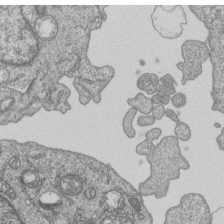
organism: Human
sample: MDA-MB-231 cells